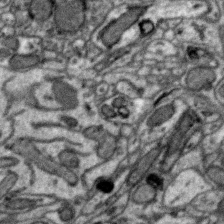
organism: Zebra finch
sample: Brain